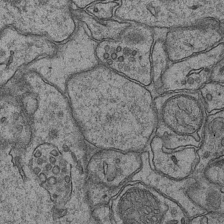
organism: Mouse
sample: CA1 Hippocampus